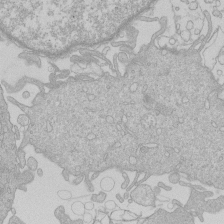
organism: Human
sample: Macrophage cells